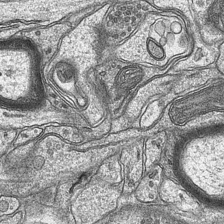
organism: Mouse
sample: CA1 Hippocampus